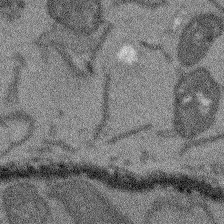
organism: Arabidopsis thaliana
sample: Root tip